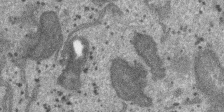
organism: Human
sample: Lung epithelial cells infected with SARS-CoV-2